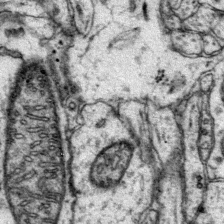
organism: Mouse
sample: Primary visual cortex